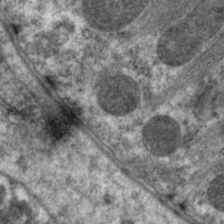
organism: C. elegans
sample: Pharynx